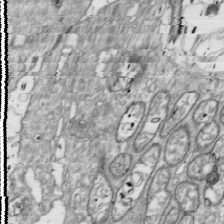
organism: Drosophila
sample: Cell division; meiosis; drosophila spermatocytes